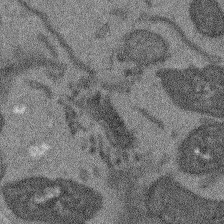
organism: Arabidopsis thaliana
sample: Root tip